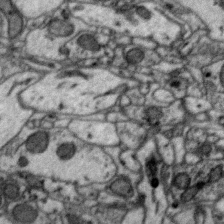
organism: Zebra finch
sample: Brain